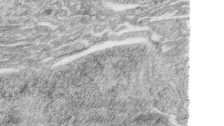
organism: Zebrafish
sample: synaptic ribbons in rod cells and cone cells